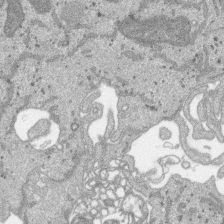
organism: Human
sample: Lung epithelial cells infected with SARS-CoV-2